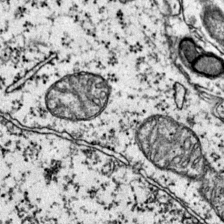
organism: Mouse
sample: Primary visual cortex